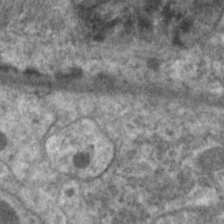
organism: C. elegans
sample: Pharynx